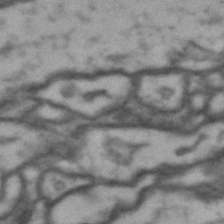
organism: Drosophila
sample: Brain